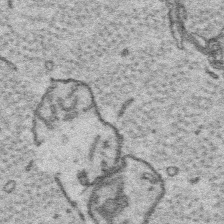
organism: Platynereis dumerilii